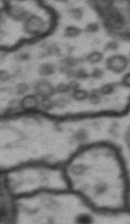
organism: Drosophila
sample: Brain